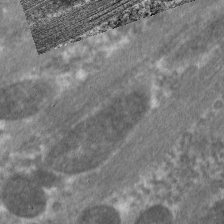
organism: C. elegans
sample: Pharynx